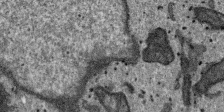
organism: Human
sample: Lung epithelial cells, uninfected (mock) control